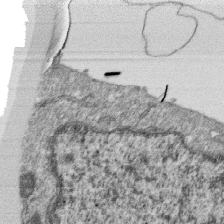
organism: African green monkey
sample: Vero E6 cells infected with SARS-CoV-2